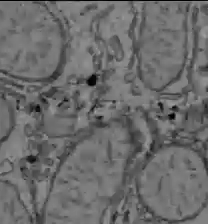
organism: C57BL Mouse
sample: Liver